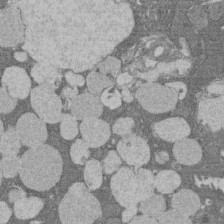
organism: Rat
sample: Salivary granule